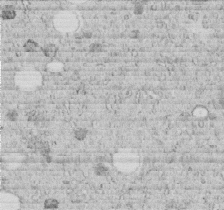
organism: C. elegans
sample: C. elegans embryo early stage